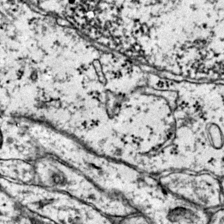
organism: Mouse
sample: Primary visual cortex